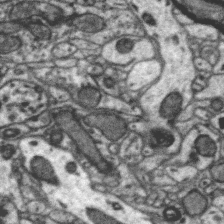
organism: Zebra finch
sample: Brain